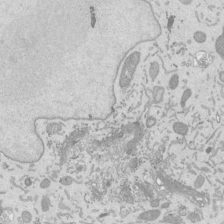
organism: Mouse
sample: ED-1 cell nuclei; centrioles